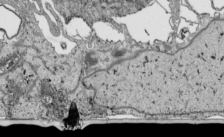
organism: Human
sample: Mitochondria in HCT116 cells